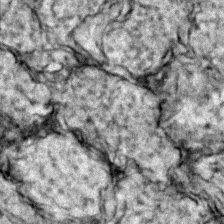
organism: Zebrafish